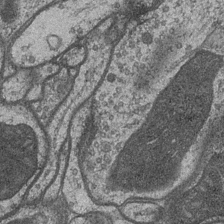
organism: Drosophila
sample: Optic medulla